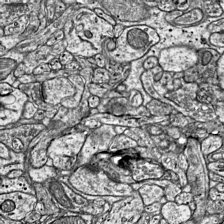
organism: Mouse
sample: Visual Cortex